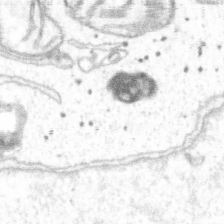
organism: Human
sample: HeLa cells